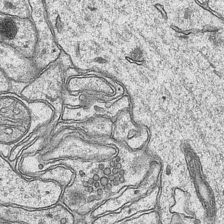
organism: Mouse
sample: CA1 Hippocampus